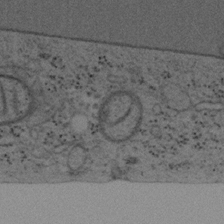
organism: Human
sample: HeLa cells